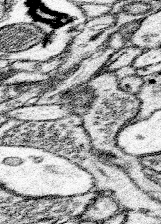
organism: Mouse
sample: Somatosensory cortex neuropil